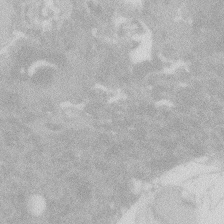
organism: Zebrafish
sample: Macrophage